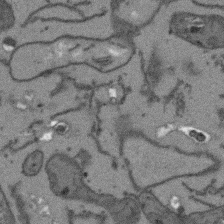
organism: Arabidopsis thaliana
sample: Root tip